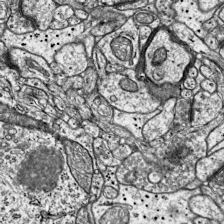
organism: Mouse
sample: Visual Cortex